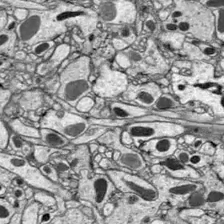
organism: Drosophila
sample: Optic lobe